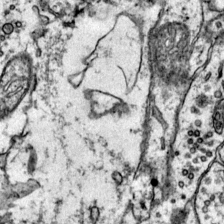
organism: Mouse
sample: Primary visual cortex